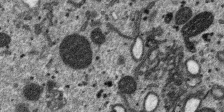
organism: Human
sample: Lung epithelial cells infected with SARS-CoV-2